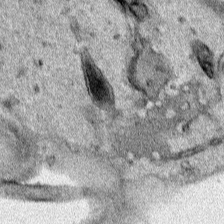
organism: Human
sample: Mitochondria in HCT116 cells